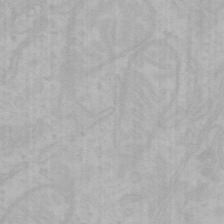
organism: Mouse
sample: Choroid plexus